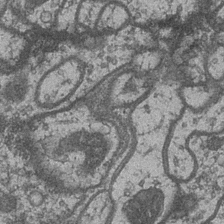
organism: Drosophila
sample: Optic medulla